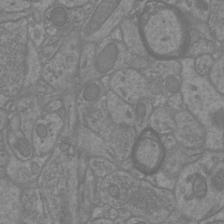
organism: Mouse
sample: Cortical neurons